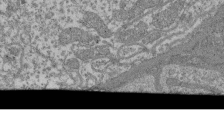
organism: Mouse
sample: Glomerulus